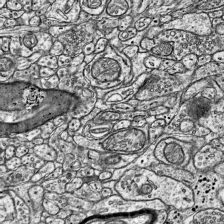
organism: Mouse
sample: Visual Cortex